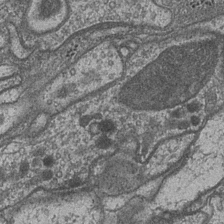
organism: Drosophila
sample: Optic medulla